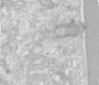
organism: Human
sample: Centriole in RPE cells